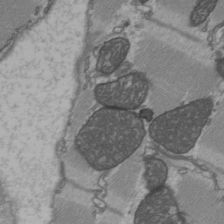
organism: C57BL Mouse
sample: Heart